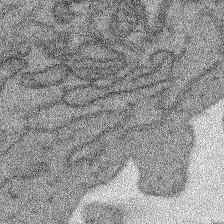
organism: Human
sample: HeLa cells